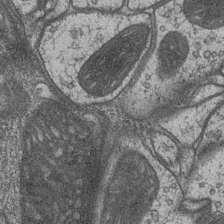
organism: Drosophila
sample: Optic medulla